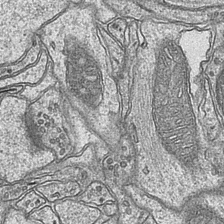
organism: Mouse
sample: CA1 Hippocampus